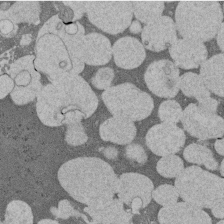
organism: Rat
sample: Salivary granule